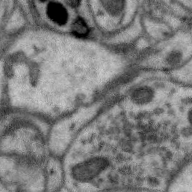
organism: Zebra finch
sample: Brain